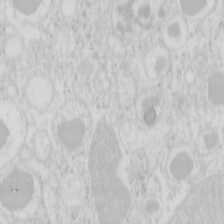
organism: Mouse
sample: Pancreas